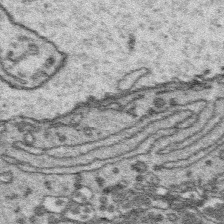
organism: Platynereis dumerilii